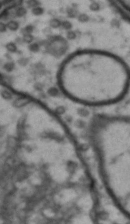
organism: Drosophila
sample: Brain